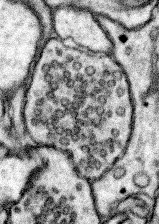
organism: Mouse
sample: Somatosensory cortex neuropil